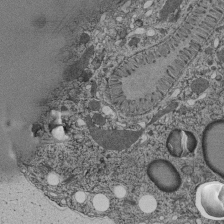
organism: C. elegans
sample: C. elegans pharynx